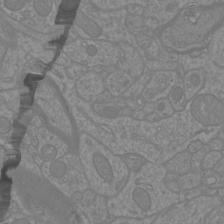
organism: Mouse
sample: Cortical neurons